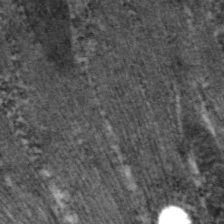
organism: C. elegans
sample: Pharynx